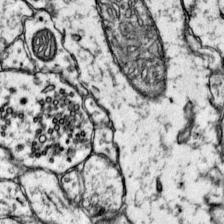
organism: Mouse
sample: Primary visual cortex